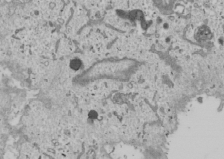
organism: Human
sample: Mitochondria in U2OS cells